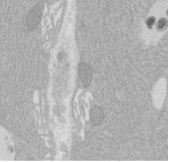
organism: Rat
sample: Salivary granule